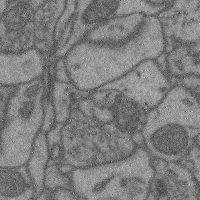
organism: Mouse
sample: Cerebral cortex